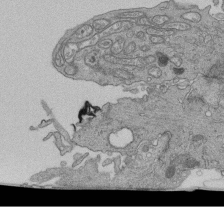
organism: Human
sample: Retinal organoid Rod and Cone cells